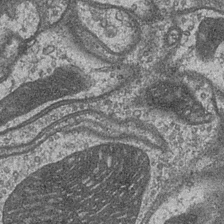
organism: Drosophila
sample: Optic medulla